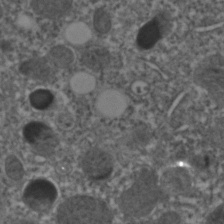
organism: C. elegans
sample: C. elegans embryo